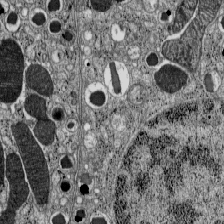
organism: C57BL Mouse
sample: Pancreatic islet